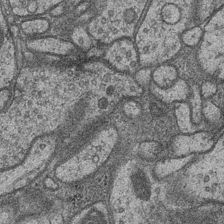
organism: Drosophila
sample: Optic medulla